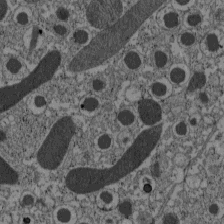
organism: C57BL Mouse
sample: Pancreatic islet